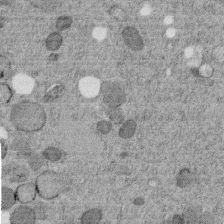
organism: C. elegans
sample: C. elegans embryo early stage